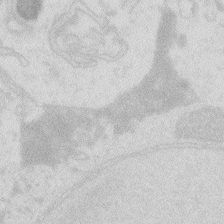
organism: Zebrafish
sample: Macrophage